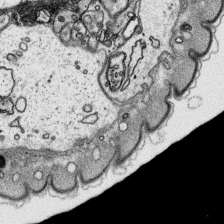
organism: Platynereis dumerilii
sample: Parapodia